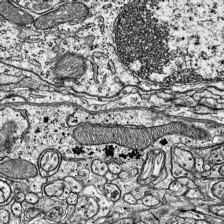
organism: Mouse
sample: Visual Cortex